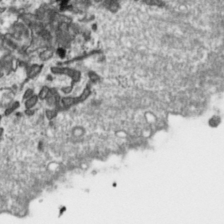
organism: Toxoplasma gondii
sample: Parasites in a vacuole inside a host cell